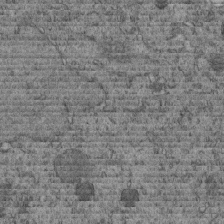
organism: C. elegans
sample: C. elegans embryo early stage